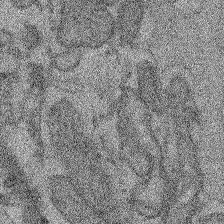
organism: Human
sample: HeLa cells